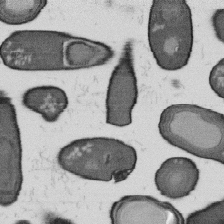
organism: B. subtilis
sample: Bacterial spore